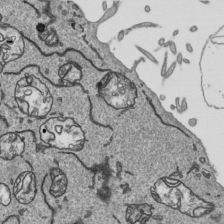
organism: Human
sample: Mitochondria in HCT116 cells